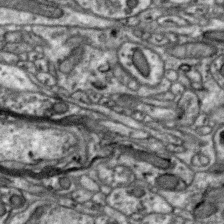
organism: Zebra finch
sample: Brain